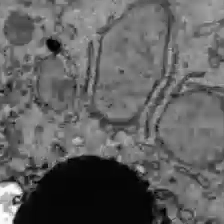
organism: C57BL Mouse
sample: Liver